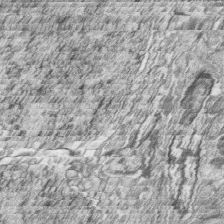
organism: Zebrafish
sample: synaptic ribbons in rod cells and cone cells